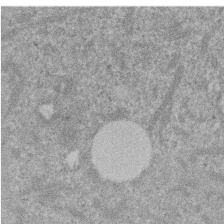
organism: Mouse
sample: Dividing mouse embryo 1 cell stage